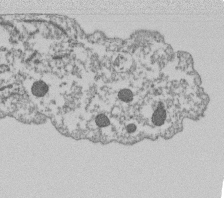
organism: Dictyostelium discoideum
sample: Dictyostelium multivesicular bodies